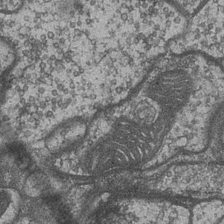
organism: Drosophila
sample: Optic medulla